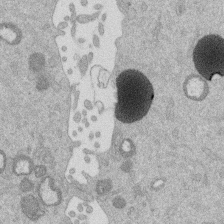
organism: Mouse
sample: Dividing mouse embryo 1 cell stage